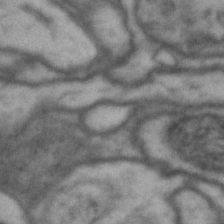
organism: Drosophila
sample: Brain